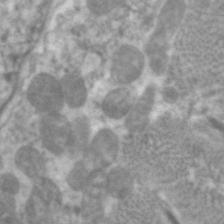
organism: C. elegans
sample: Pharynx